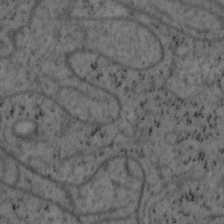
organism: Human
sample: HeLa cells